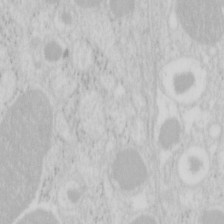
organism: Mouse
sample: Pancreas